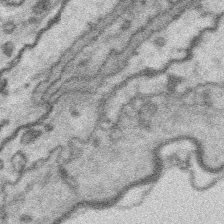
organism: Platynereis dumerilii